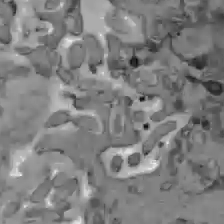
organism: C57BL Mouse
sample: Liver